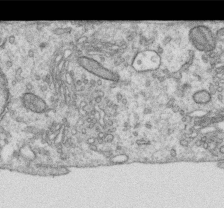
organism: Human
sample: Centriole in RPE cells